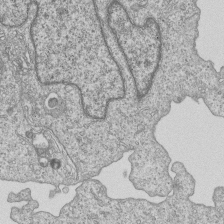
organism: Human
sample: MDA-MB-231 cells